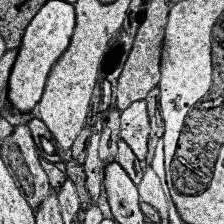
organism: Human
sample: Temporal Lobe